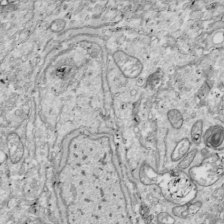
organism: Drosophila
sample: Cell division; meiosis; drosophila spermatocytes